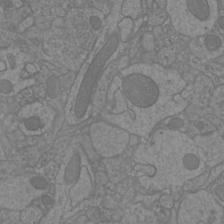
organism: Mouse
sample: Cortical neurons